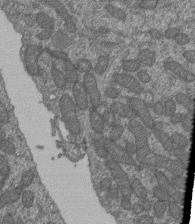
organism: Human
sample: Retinal organoid Rod and Cone cells